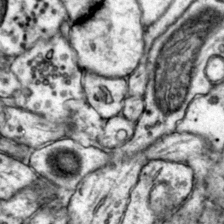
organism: Mouse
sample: Primary visual cortex